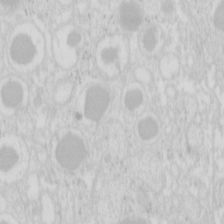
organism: Mouse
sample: Pancreas